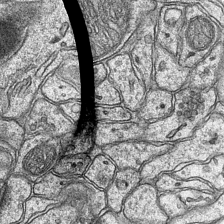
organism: Mouse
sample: CA1 Hippocampus